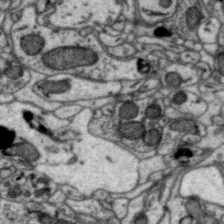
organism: Zebra finch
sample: Brain